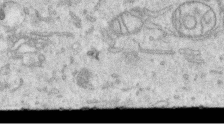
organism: Human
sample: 1205lu cells